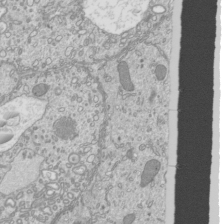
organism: Mouse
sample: Cilia; mouse epididymis